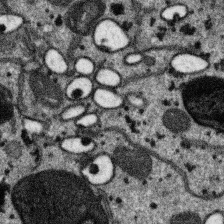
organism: Human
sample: Lung epithelial cells infected with SARS-CoV-2